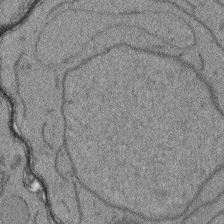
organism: Arabidopsis thaliana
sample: Root tip